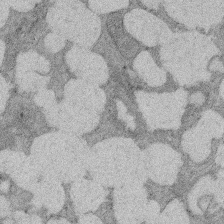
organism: Rat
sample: Salivary granule